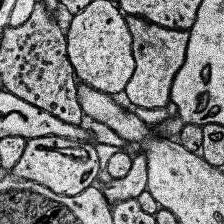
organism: Human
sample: Temporal Lobe